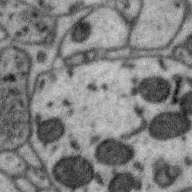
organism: Zebra finch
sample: Brain